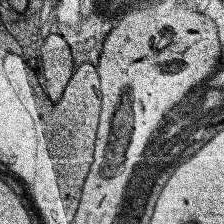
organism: Human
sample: Temporal Lobe